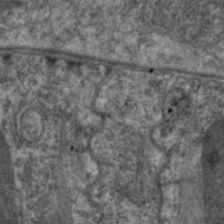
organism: C. elegans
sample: Pharynx